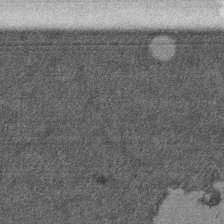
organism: Mouse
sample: Dividing mouse embryo 1 cell stage